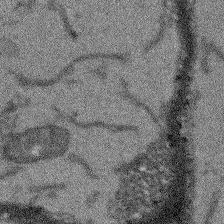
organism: Arabidopsis thaliana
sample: Root tip